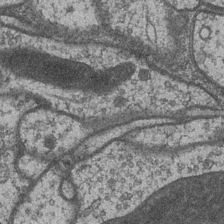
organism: Drosophila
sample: Optic medulla